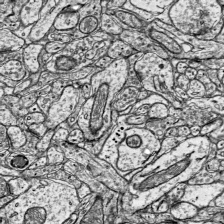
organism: Mouse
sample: Visual Cortex